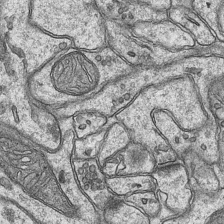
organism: Mouse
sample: CA1 Hippocampus